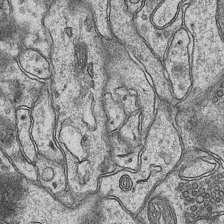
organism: Mouse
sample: CA1 Hippocampus